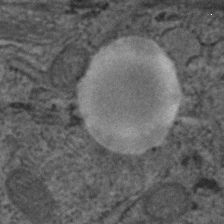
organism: Human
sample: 1205lu cells